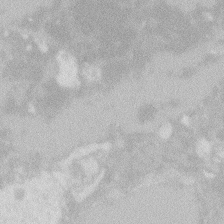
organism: Zebrafish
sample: Macrophage